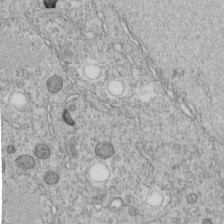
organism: C. elegans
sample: C. elegans embryo early stage